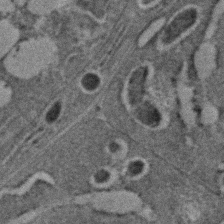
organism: C. elegans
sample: C. elegans embryo